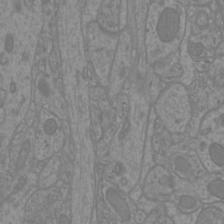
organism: Mouse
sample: Cortical neurons